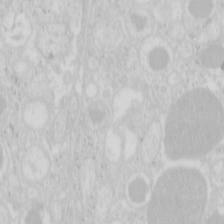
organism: Mouse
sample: Pancreas